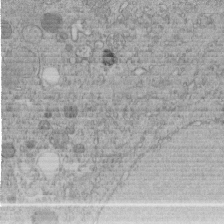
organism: C. elegans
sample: C. elegans embryo early stage